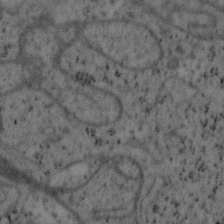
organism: Human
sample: HeLa cells